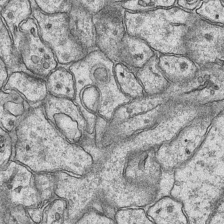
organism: Mouse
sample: CA1 Hippocampus